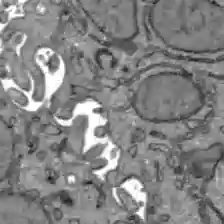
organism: C57BL Mouse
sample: Liver